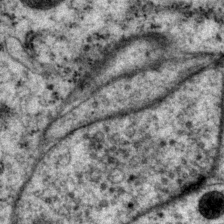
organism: P. pacificus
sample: Pharynx